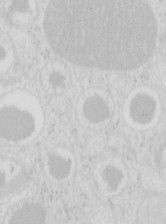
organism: Mouse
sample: Pancreas